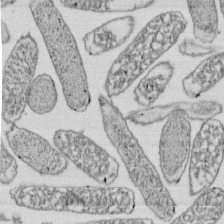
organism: E. coli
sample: Bacterial nucleoid